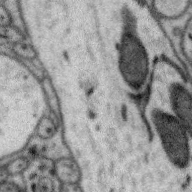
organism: Zebra finch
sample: Brain